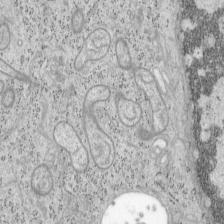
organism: Mouse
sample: OT-I killer T cells with ID8 ovarian cancer cells